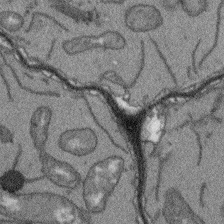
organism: Arabidopsis thaliana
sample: Root tip